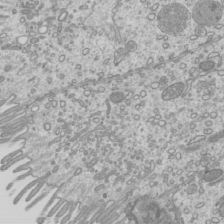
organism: Mouse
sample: Cilia; mouse epididymis